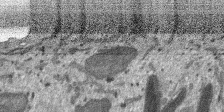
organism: Human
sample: Lung epithelial cells infected with SARS-CoV-2